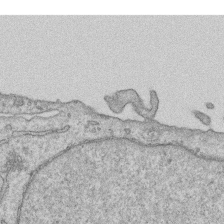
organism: Human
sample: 1205lu cells